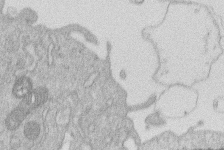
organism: Human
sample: Macrophage cells